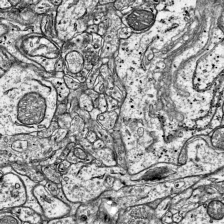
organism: Mouse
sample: Visual Cortex